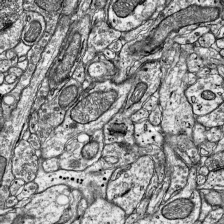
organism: Mouse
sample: Visual Cortex